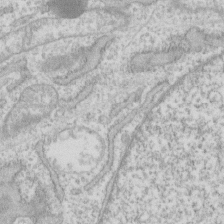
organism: Human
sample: Fibroblast cells